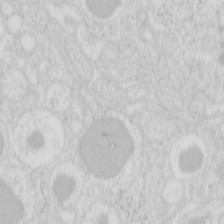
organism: Mouse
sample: Pancreas